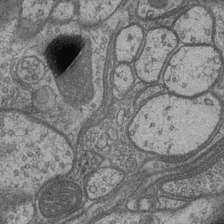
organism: Drosophila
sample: Optic medulla